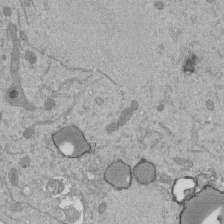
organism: Mouse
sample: ED-1 cell nuclei; centrioles